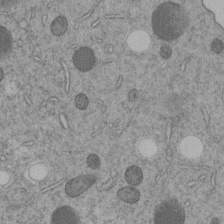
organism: C. elegans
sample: C. elegans embryo early stage